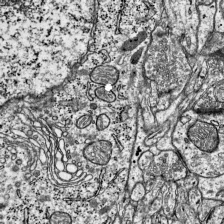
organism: Mouse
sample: Visual Cortex